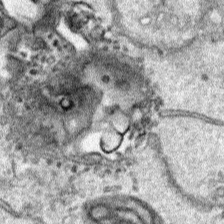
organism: Human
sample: Mitochondria in HCT116 cells